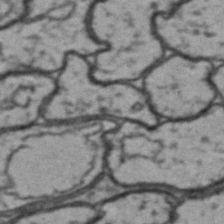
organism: Drosophila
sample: Brain